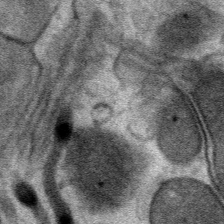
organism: Mouse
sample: Mouse Salivary gland